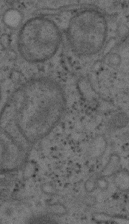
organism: Human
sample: HeLa cells